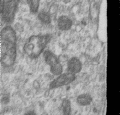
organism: Human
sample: Centriole in RPE cells